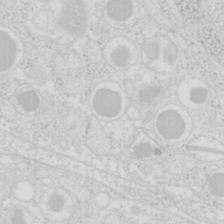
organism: Mouse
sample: Pancreas